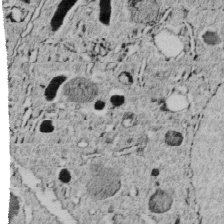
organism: C. elegans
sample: C. elegans embryo early stage